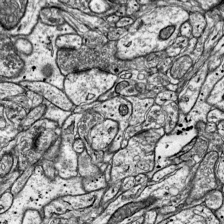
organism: Mouse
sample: Visual Cortex